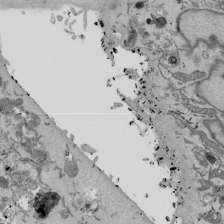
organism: Mouse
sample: ED-1 cell nuclei; centrioles